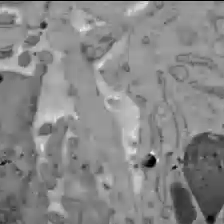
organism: C57BL Mouse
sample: Liver